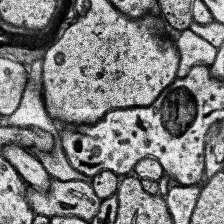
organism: Human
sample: Temporal Lobe